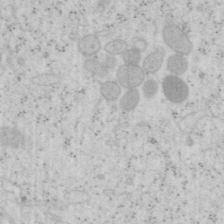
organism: Human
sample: HeLa cells